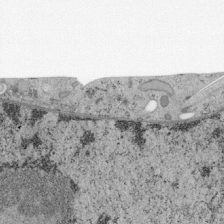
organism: Human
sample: HeLa cells